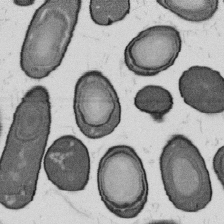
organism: B. subtilis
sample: Bacterial spore